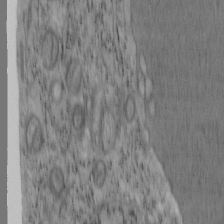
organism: Human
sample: HeLa cells